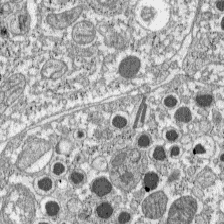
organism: C57BL Mouse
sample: Pancreatic islet